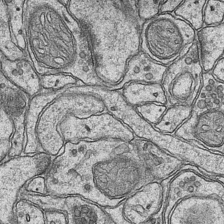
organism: Mouse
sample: CA1 Hippocampus